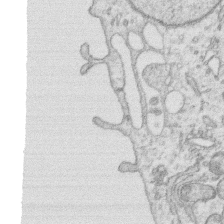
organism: Human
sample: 1205lu cells